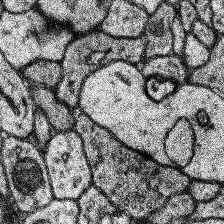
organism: Human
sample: Temporal Lobe